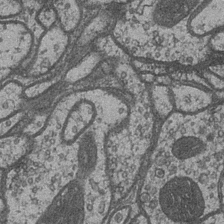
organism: Drosophila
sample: Optic medulla